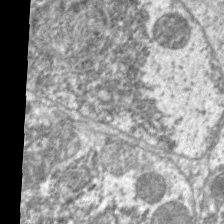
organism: C. elegans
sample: Pharynx